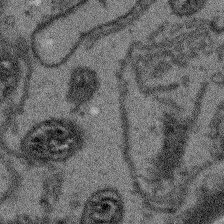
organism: Arabidopsis thaliana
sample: Root tip